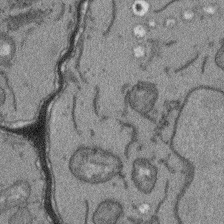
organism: Arabidopsis thaliana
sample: Root tip